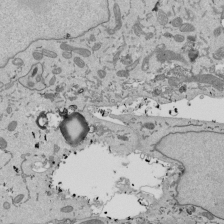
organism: Mouse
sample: ED-1 cell nuclei; centrioles